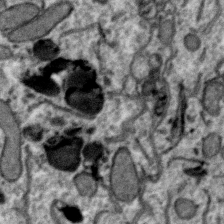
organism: Zebra finch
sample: Brain